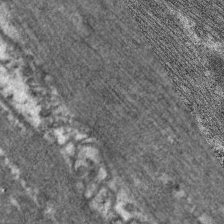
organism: C. elegans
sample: Pharynx